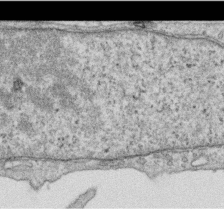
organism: Human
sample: Centriole in RPE cells